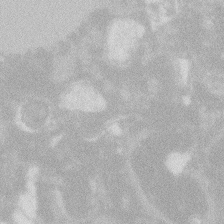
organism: Zebrafish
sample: Macrophage